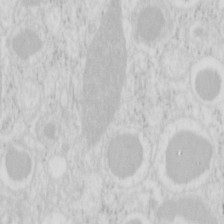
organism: Mouse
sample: Pancreas